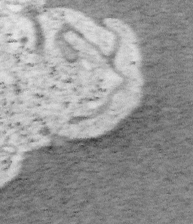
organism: Mouse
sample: OT-I killer T cells with ID8 ovarian cancer cells